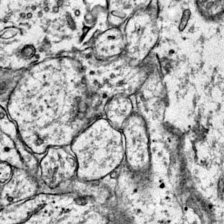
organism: Mouse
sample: Primary visual cortex